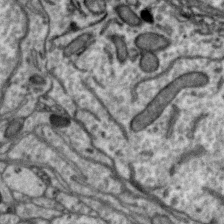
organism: Zebra finch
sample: Brain